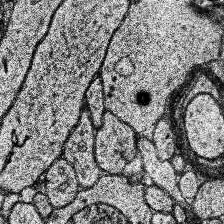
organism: Human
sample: Temporal Lobe